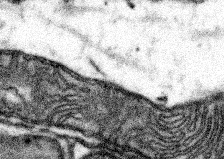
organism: Mouse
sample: Somatosensory cortex neuropil